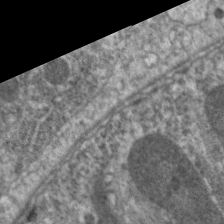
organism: C. elegans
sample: Pharynx